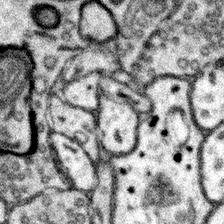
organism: Mouse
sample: Somatosensory cortex neuropil